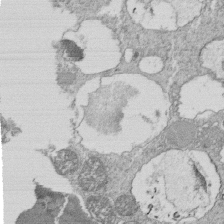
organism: Tetrahymena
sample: Cilia in tetrahymena